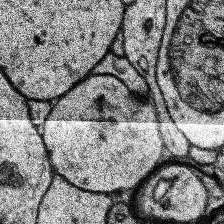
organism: Human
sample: Temporal Lobe